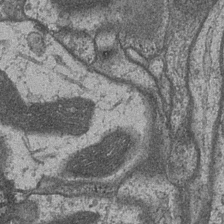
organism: Drosophila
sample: Optic medulla